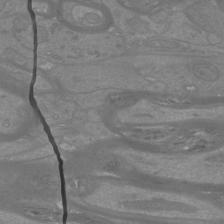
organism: Mouse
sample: Cortical neurons